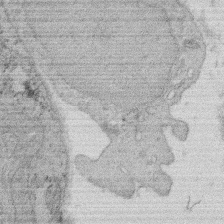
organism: Rat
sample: Salivary granule